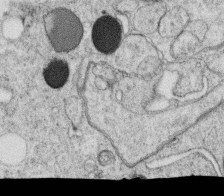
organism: C. elegans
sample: C. elegans oocyte; sperm cells